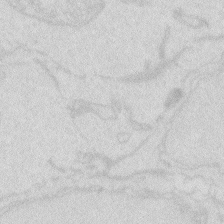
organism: Zebrafish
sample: Macrophage